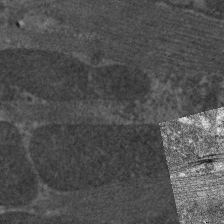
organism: C. elegans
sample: Pharynx